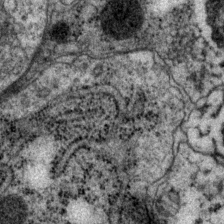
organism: P. pacificus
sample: Pharynx